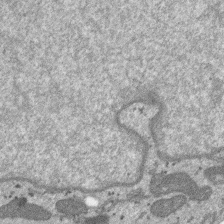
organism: Human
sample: Lung epithelial cells infected with SARS-CoV-2